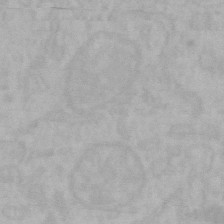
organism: Mouse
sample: Choroid plexus